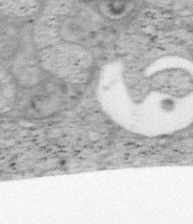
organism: Mouse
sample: OT-I killer T cells with ID8 ovarian cancer cells